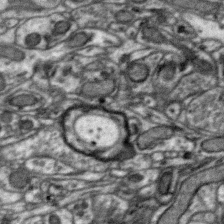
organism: Zebra finch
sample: Brain